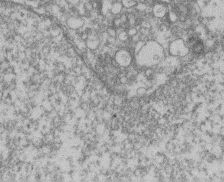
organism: Mouse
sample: T cell stromal cell synapse